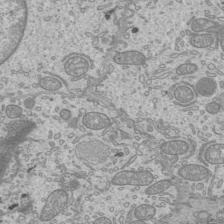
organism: Mouse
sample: Cilia; mouse epididymis